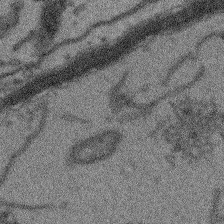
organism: Arabidopsis thaliana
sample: Root tip